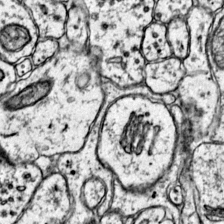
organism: Mouse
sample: Primary visual cortex